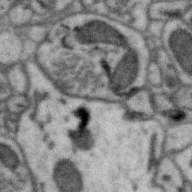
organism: Zebra finch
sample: Brain